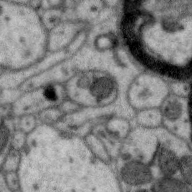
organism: Zebra finch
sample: Brain